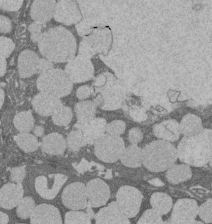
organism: Rat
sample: Salivary granule